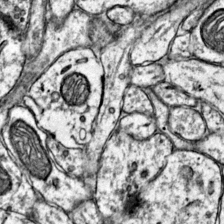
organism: Mouse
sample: Primary visual cortex